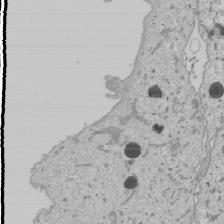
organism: Human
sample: Mitochondria in U2OS cells